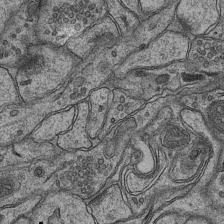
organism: Mouse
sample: CA1 Hippocampus